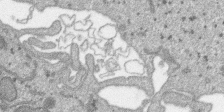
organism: Human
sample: Lung epithelial cells infected with SARS-CoV-2